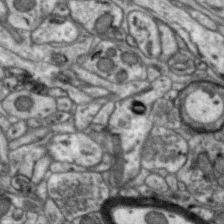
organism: Zebra finch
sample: Brain